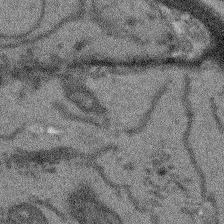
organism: Arabidopsis thaliana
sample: Root tip